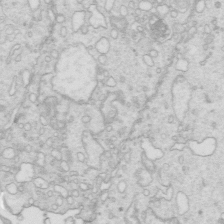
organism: Mouse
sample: Multiciliated cells